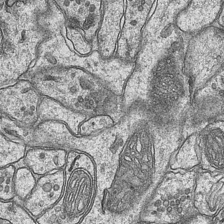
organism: Mouse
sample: CA1 Hippocampus